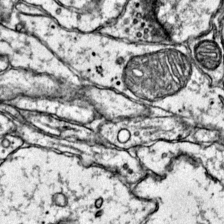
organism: Mouse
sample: Primary visual cortex